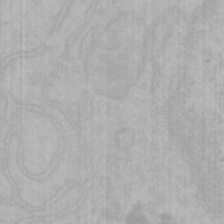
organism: Mouse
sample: Choroid plexus